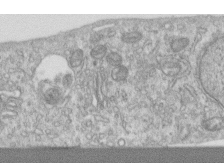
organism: Human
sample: Centriole in RPE cells